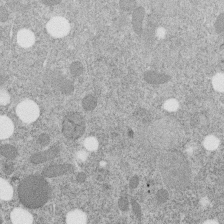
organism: C. elegans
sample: C. elegans embryo early stage